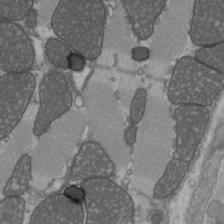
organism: C57BL Mouse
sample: Heart